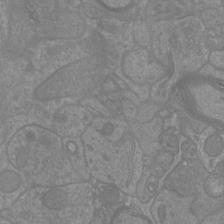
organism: Mouse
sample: Cortical neurons